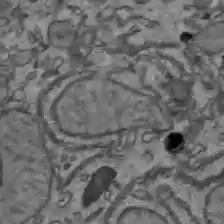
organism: C57BL Mouse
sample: Liver